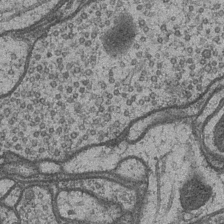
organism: Drosophila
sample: Optic medulla